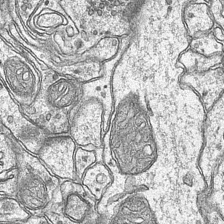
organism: Mouse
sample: CA1 Hippocampus